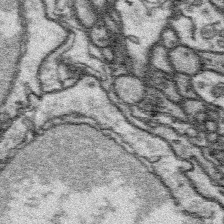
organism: Platynereis dumerilii